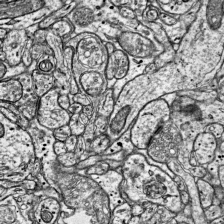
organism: Mouse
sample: Visual Cortex